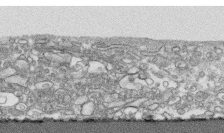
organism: Human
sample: CRL-1474